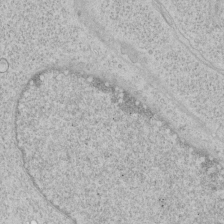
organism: Human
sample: Mitochondria in HCT116 cells